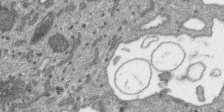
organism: Human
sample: Lung epithelial cells infected with SARS-CoV-2